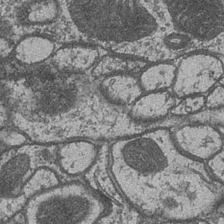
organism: Drosophila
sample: Optic medulla